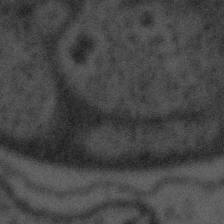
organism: Tuwongella immobilis